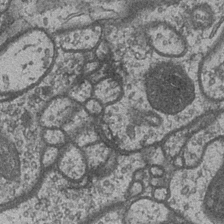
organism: Drosophila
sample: Optic medulla